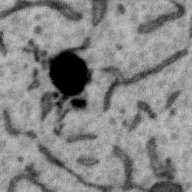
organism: Zebra finch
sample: Brain